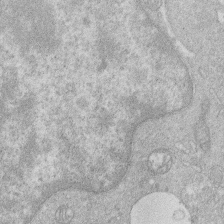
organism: Human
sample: Macrophage cells